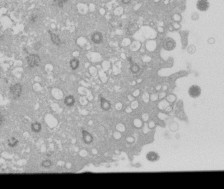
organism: Xenopus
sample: Cilia; centrioles in frog embryo cells